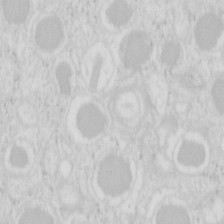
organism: Mouse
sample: Pancreas